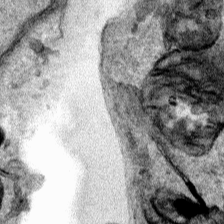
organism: Human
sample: Mitochondria in HCT116 cells